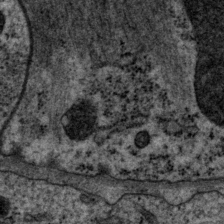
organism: P. pacificus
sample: Pharynx